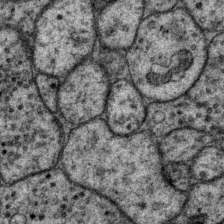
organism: P. pacificus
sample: Pharynx